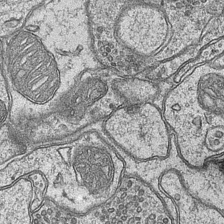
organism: Mouse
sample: CA1 Hippocampus